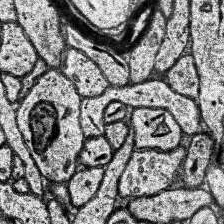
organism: Human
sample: Temporal Lobe